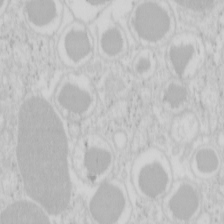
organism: Mouse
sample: Pancreas